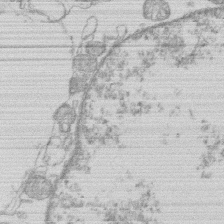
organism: Human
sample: Macrophage cells